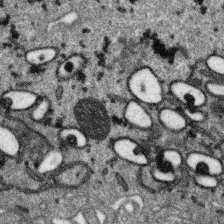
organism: Human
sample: Lung epithelial cells infected with SARS-CoV-2